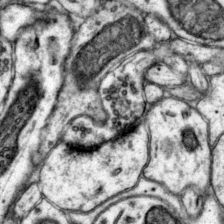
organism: Mouse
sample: Primary visual cortex